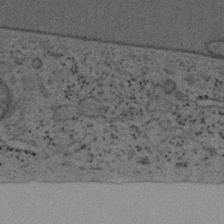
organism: Human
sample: HeLa cells